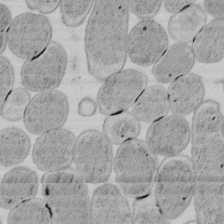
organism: E. coli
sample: Bacterial nucleoid